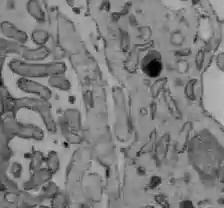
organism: C57BL Mouse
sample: Liver